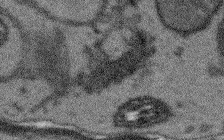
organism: Arabidopsis thaliana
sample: Root tip